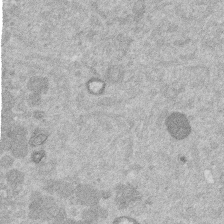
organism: Mouse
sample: Dividing mouse embryo 1 cell stage